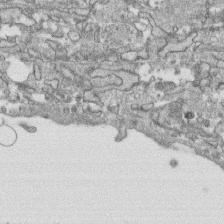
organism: Human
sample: CRL-1474